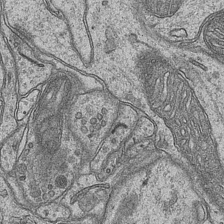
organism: Mouse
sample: CA1 Hippocampus